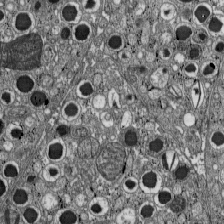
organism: C57BL Mouse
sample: Pancreatic islet